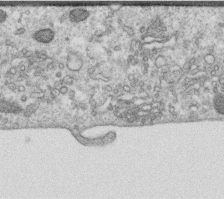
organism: Human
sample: Centriole in RPE cells